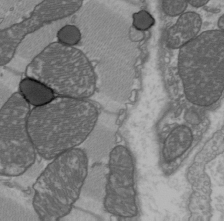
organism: C57BL Mouse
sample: Heart